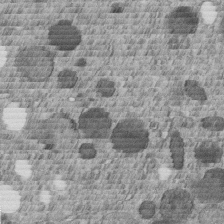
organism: C. elegans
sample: C. elegans embryo early stage